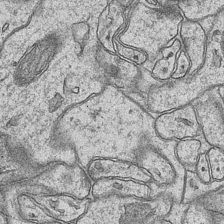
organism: Mouse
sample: CA1 Hippocampus